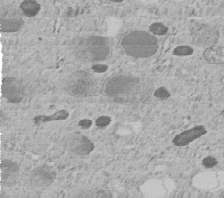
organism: C. elegans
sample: C. elegans embryo early stage